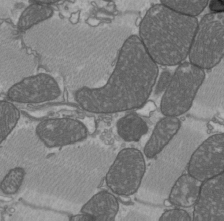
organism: C57BL Mouse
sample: Heart